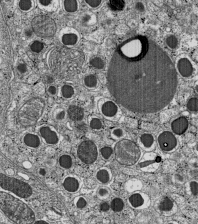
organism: C57BL Mouse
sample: Pancreatic islet